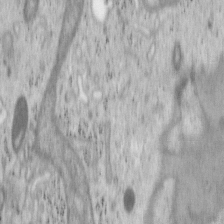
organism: Human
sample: HeLa cells